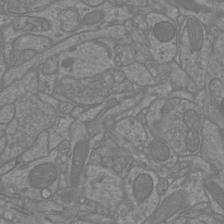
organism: Mouse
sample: Cortical neurons